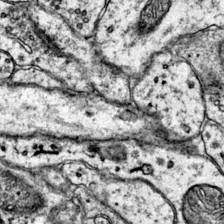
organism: Mouse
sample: Primary visual cortex